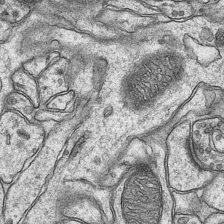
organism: Mouse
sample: CA1 Hippocampus